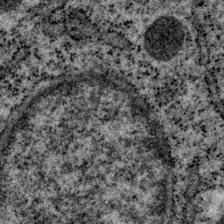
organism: P. pacificus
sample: Pharynx